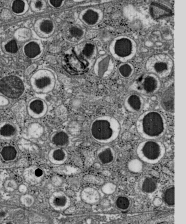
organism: C57BL Mouse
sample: Pancreatic islet